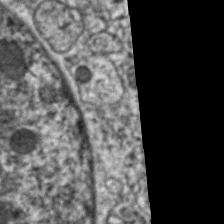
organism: C. elegans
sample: Pharynx